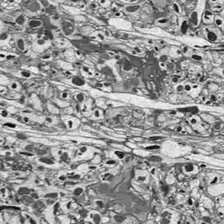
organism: Drosophila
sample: Optic lobe